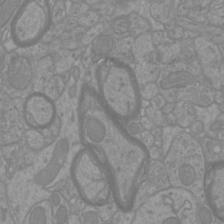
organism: Mouse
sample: Cortical neurons